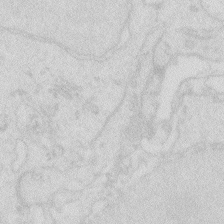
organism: Zebrafish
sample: Macrophage